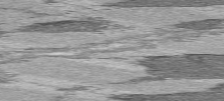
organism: C57BL Mouse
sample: Heart